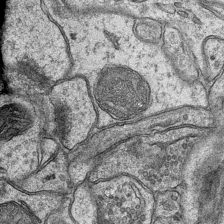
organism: Mouse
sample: CA1 Hippocampus